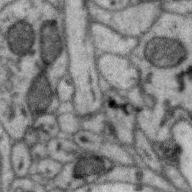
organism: Zebra finch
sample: Brain